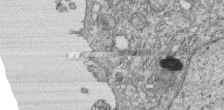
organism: Human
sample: HeLa cell HIV synapse